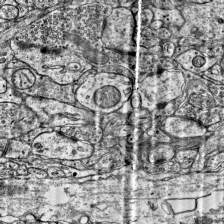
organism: Mouse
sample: Visual Cortex